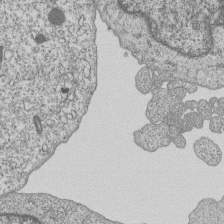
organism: Human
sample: MDA-MB-231 cells